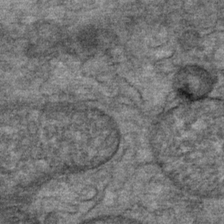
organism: Mouse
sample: Mouse Salivary gland